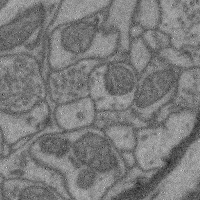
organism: Mouse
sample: Cerebral cortex